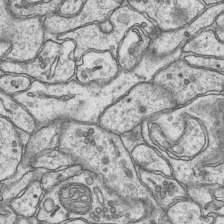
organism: Mouse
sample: CA1 Hippocampus